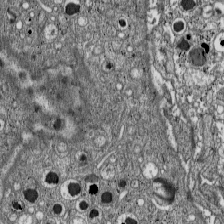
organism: C57BL Mouse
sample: Pancreatic islet